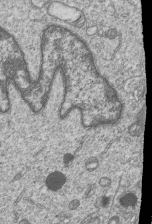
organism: Human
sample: MDA-MB-231 cells